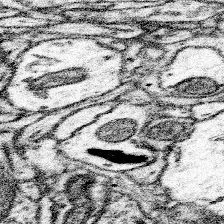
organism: Mouse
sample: Somatosensory cortex neuropil